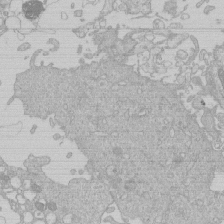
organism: Human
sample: Macrophage cells